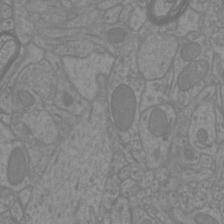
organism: Mouse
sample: Cortical neurons